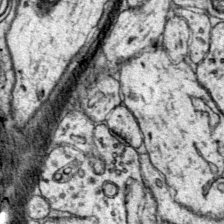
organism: Mouse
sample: Primary visual cortex